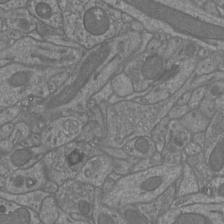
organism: Mouse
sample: Cortical neurons